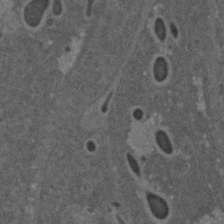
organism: C. elegans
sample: C. elegans embryo